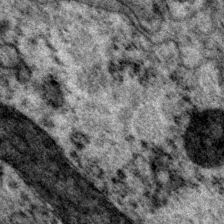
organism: P. pacificus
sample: Pharynx